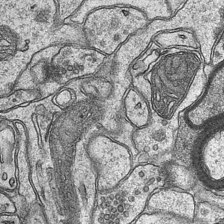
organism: Mouse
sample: CA1 Hippocampus